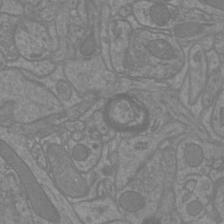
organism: Mouse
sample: Cortical neurons